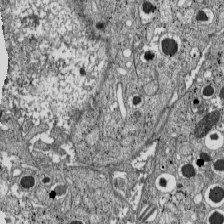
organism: C57BL Mouse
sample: Pancreatic islet